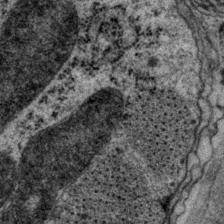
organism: P. pacificus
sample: Pharynx